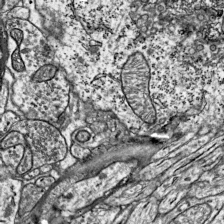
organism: Mouse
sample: Visual Cortex